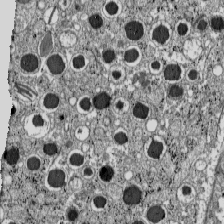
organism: C57BL Mouse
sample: Pancreatic islet